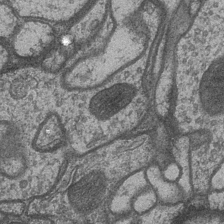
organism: Drosophila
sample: Optic medulla